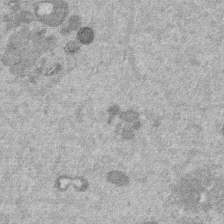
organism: Mouse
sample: Dividing mouse embryo 1 cell stage